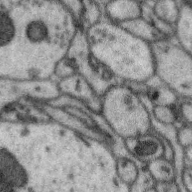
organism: Zebra finch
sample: Brain